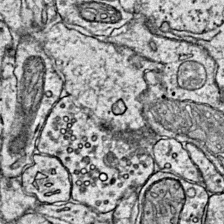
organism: Mouse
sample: Primary visual cortex